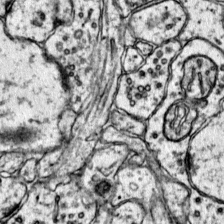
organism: Mouse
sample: Primary visual cortex